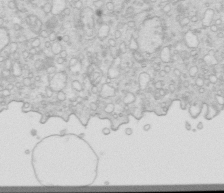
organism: Mouse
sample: Multiciliated cells